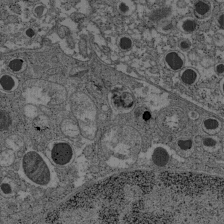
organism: C57BL Mouse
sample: Pancreatic islet